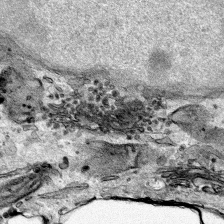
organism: Human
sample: Mitochondria in HCT116 cells